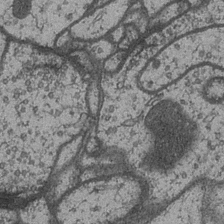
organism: Drosophila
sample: Optic medulla